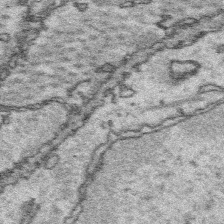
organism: Platynereis dumerilii